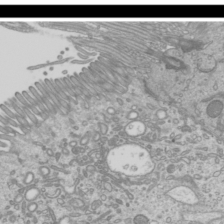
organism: Mouse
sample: Cilia; mouse epididymis